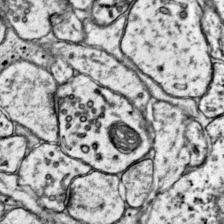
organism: Mouse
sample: Primary visual cortex